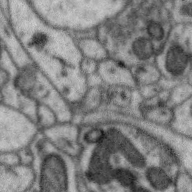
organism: Zebra finch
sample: Brain